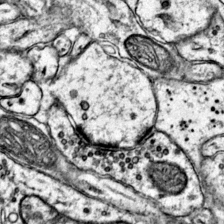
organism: Mouse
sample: Primary visual cortex